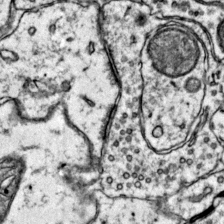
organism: Mouse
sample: Primary visual cortex